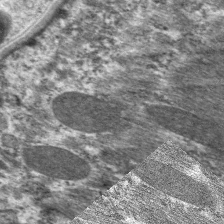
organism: C. elegans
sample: Pharynx